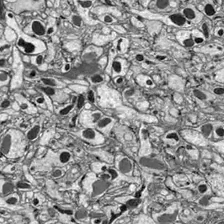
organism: Drosophila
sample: Optic lobe